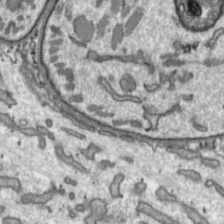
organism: Toxoplasma gondii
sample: Parasites in a vacuole inside a host cell